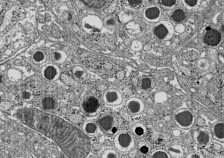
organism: C57BL Mouse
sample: Pancreatic islet